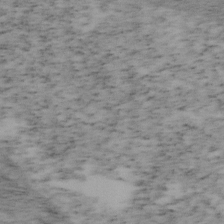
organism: Mouse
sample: OT-I killer T cells with ID8 ovarian cancer cells